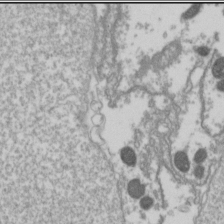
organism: Drosophila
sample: Cell division; meiosis; drosophila spermatocytes